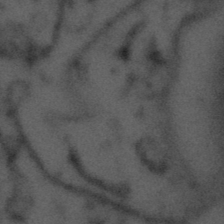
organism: Tuwongella immobilis